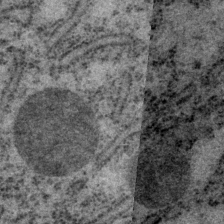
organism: P. pacificus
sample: Pharynx